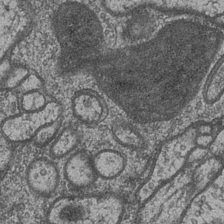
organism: Drosophila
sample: Optic medulla